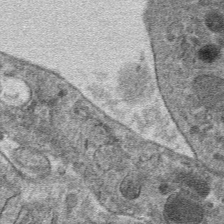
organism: Mouse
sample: Mouse hepatocytes